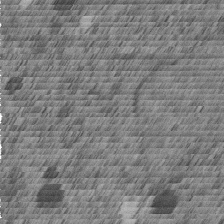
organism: C. elegans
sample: C. elegans embryo early stage